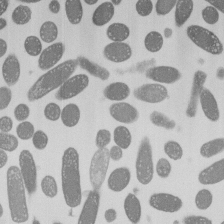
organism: E. coli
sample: Bacterial nucleoid